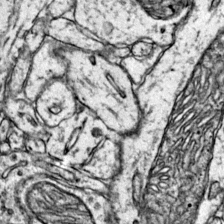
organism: Mouse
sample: Primary visual cortex